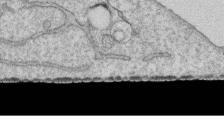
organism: Human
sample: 1205lu cells